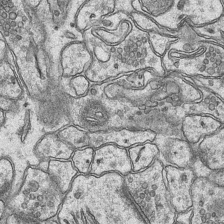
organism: Mouse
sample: CA1 Hippocampus